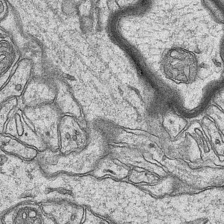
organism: Mouse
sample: CA1 Hippocampus